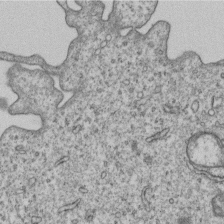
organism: Human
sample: MDA-MB-231 cells